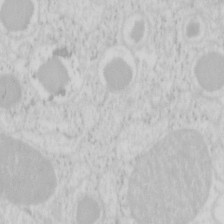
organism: Mouse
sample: Pancreas